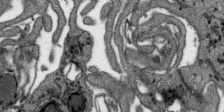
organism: Human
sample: Lung epithelial cells, uninfected (mock) control